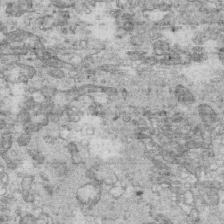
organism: Mouse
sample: Multiciliated cells